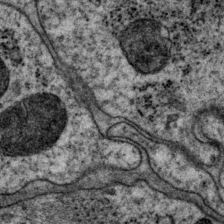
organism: P. pacificus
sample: Pharynx